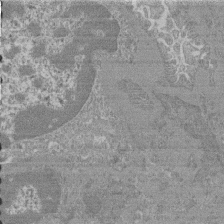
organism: Mouse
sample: Glomerulus